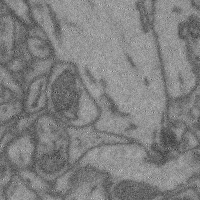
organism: Mouse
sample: Cerebral cortex